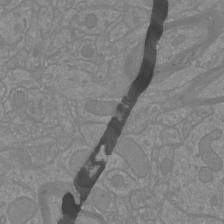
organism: Mouse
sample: Cortical neurons